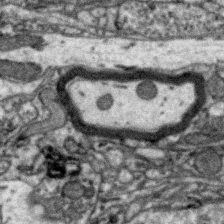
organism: Zebra finch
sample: Brain